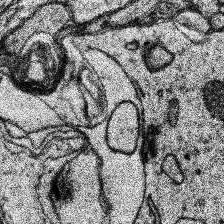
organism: Human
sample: Temporal Lobe